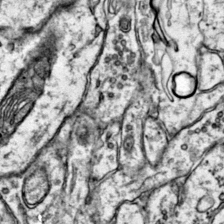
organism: Mouse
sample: Primary visual cortex